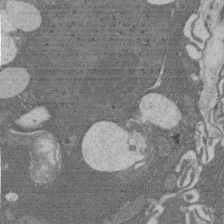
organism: Rat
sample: Salivary granule